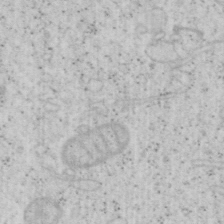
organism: Human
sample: HeLa cells